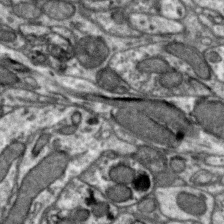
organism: Zebra finch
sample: Brain